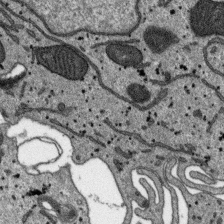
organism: Human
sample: Lung epithelial cells, uninfected (mock) control